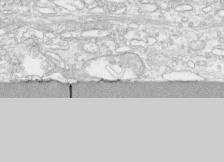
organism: Human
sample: CRL-1474